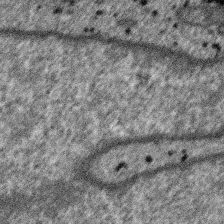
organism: Human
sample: Lung epithelial cells infected with SARS-CoV-2